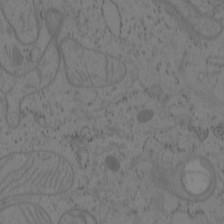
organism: Human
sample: HeLa cells